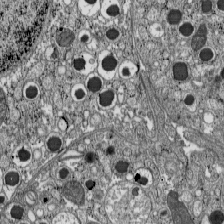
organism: C57BL Mouse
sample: Pancreatic islet